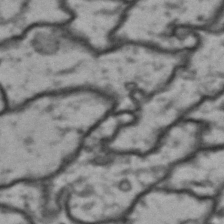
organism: Drosophila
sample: Brain